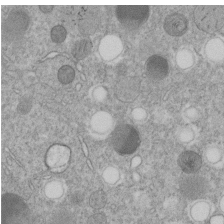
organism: C. elegans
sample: C. elegans embryo early stage